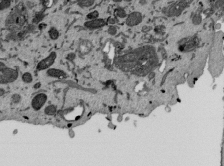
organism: Mouse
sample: ED-1 cell nuclei; centrioles